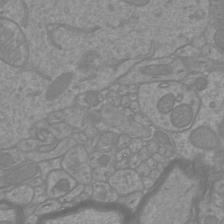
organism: Mouse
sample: Cortical neurons